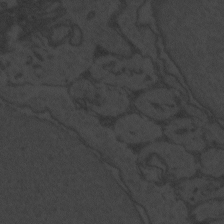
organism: Zebrafish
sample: Macrophage infected with Toxoplasma gondii